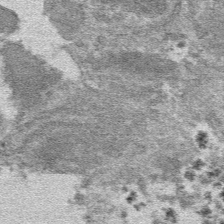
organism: Mouse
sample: Mouse hepatocytes